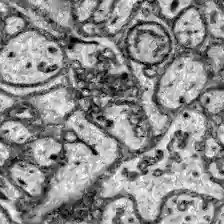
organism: Zebrafish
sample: Brain